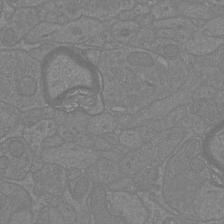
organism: Mouse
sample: Cortical neurons